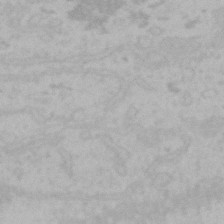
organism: Mouse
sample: Choroid plexus